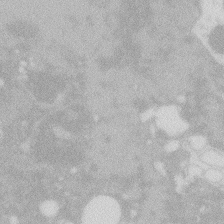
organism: Zebrafish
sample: Macrophage